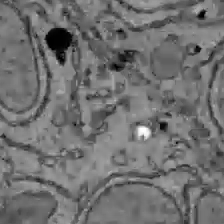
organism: C57BL Mouse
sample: Liver